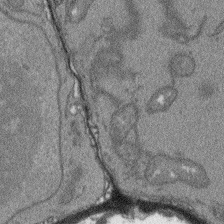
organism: Arabidopsis thaliana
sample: Root tip